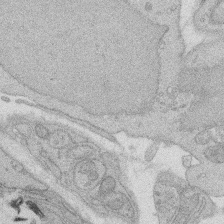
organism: Rat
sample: Salivary granule